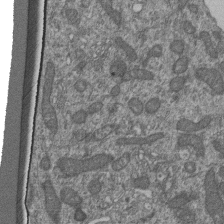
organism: Human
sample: Retinal organoid Rod and Cone cells